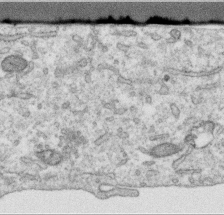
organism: Human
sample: Centriole in RPE cells